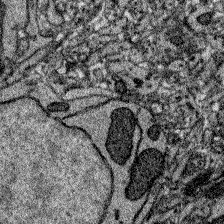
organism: Zebrafish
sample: Larval olfactory bulb